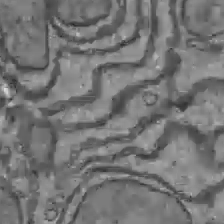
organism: C57BL Mouse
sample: Liver